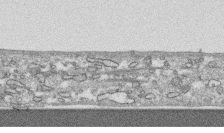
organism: Human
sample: CRL-1474